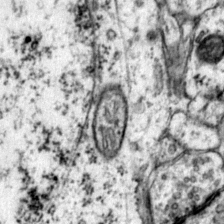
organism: Mouse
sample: Primary visual cortex